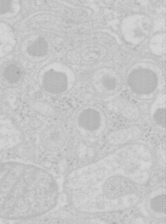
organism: Mouse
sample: Pancreas